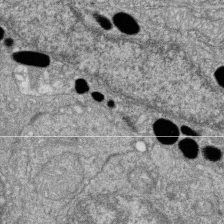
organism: Zebrafish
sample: Cilia; retinal pigment epithelium